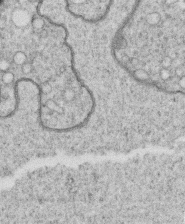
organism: C. elegans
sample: C. elegans oocyte; sperm cells